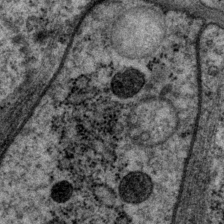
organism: P. pacificus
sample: Pharynx